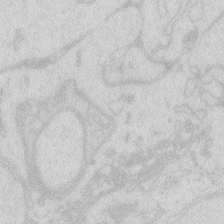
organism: Zebrafish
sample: Macrophage